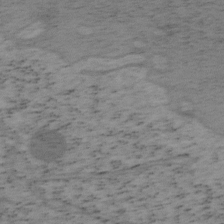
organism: Mouse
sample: OT-I killer T cells with ID8 ovarian cancer cells